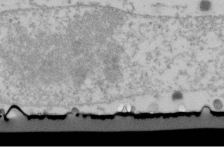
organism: Human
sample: U2-OS cells